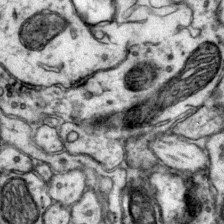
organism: Mouse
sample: Primary visual cortex